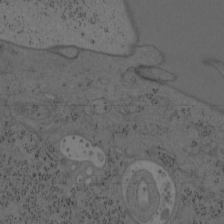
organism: Mouse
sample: OT-I killer T cells with ID8 ovarian cancer cells